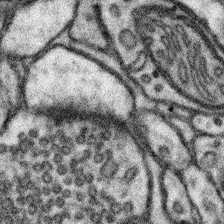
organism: Mouse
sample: Somatosensory cortex neuropil